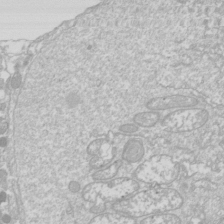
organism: Drosophila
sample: Cell division; meiosis; drosophila spermatocytes